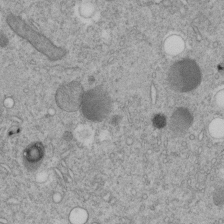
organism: C. elegans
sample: C. elegans embryo early stage